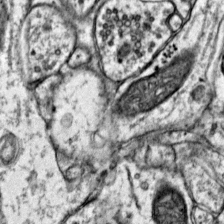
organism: Mouse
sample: Primary visual cortex